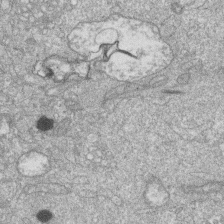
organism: Human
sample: HeLa cell HIV synapse